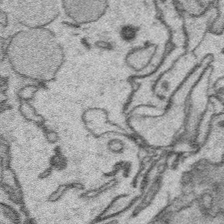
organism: Platynereis dumerilii